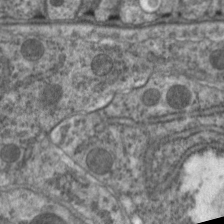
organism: C. elegans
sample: Pharynx